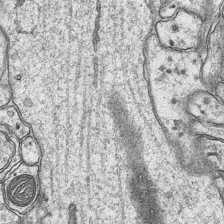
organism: Mouse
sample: CA1 Hippocampus